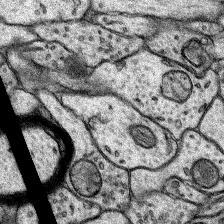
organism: Rat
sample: Hippocampus